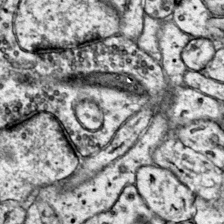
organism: Mouse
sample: Primary visual cortex